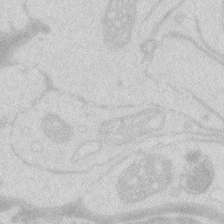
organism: Zebrafish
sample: Macrophage